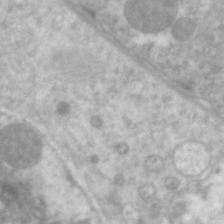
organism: C. elegans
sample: Pharynx